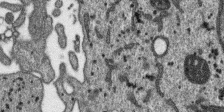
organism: Human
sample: Lung epithelial cells infected with SARS-CoV-2